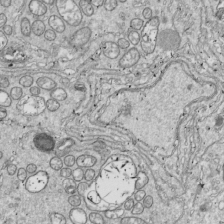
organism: Drosophila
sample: Cell division; meiosis; drosophila spermatocytes